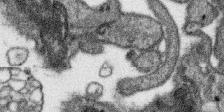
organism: Human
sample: Lung epithelial cells infected with SARS-CoV-2